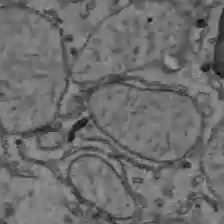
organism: C57BL Mouse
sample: Liver